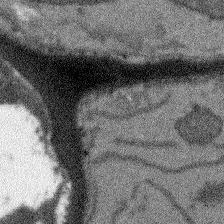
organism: Arabidopsis thaliana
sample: Root tip